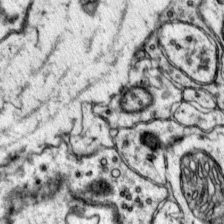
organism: Mouse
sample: Primary visual cortex